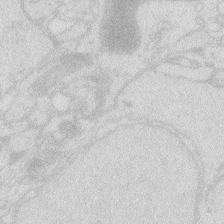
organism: Zebrafish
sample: Macrophage